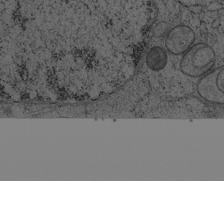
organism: African green monkey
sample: COS-7 cells